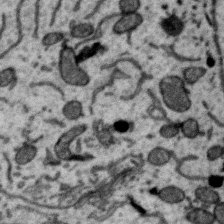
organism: Zebra finch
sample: Brain